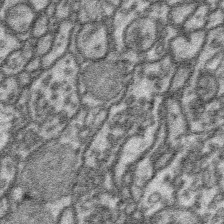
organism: Platynereis dumerilii